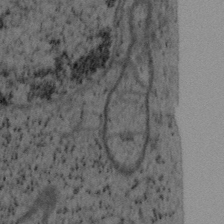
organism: Human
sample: HeLa cells